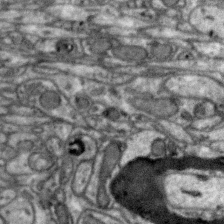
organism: Zebra finch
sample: Brain